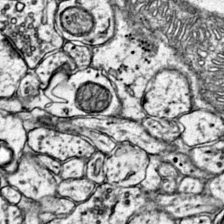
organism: Mouse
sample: Primary visual cortex